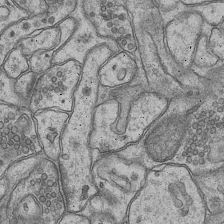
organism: Mouse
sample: CA1 Hippocampus